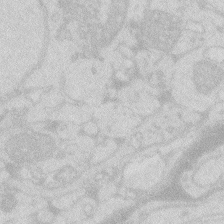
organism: Zebrafish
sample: Macrophage